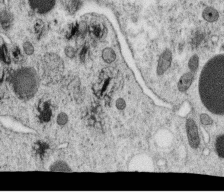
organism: C. elegans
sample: C. elegans oocyte; sperm cells